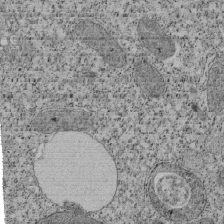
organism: Tetrahymena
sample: Cilia in tetrahymena